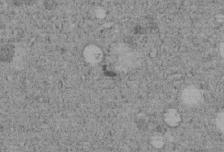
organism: C. elegans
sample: C. elegans embryo early stage